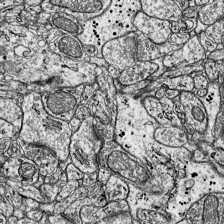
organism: Mouse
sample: Visual Cortex